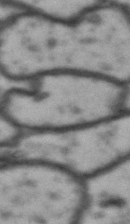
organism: Drosophila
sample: Brain